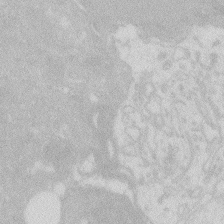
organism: Zebrafish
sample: Macrophage